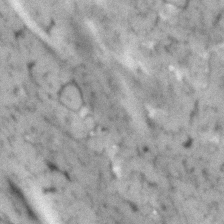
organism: Human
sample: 1205lu cells